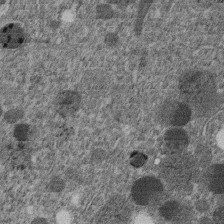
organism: C. elegans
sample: C. elegans embryo early stage